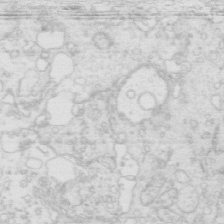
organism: Mouse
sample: Multiciliated cells